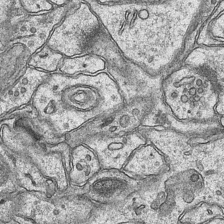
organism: Mouse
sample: CA1 Hippocampus